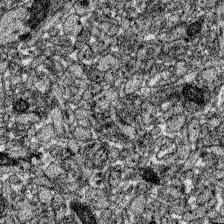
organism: Zebrafish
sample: Larval olfactory bulb